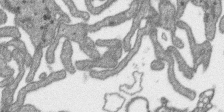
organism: Human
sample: Lung epithelial cells infected with SARS-CoV-2